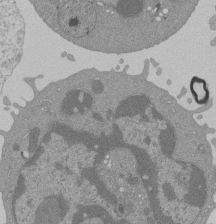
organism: Mouse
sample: Activated Pmel transgenic CD8+ T Cells